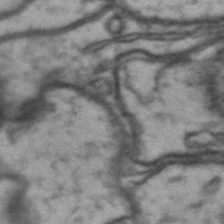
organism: Drosophila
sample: Brain